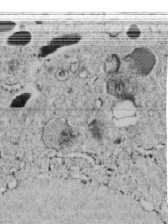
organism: C. elegans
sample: C. elegans embryo early stage